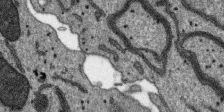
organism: Human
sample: Lung epithelial cells, uninfected (mock) control